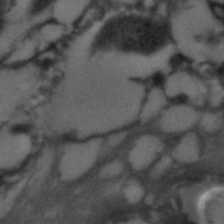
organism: C. elegans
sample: C. elegans embryo